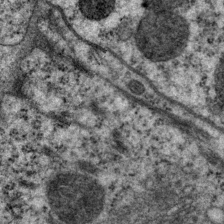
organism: P. pacificus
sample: Pharynx